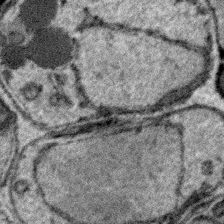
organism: Plasmodium falciparum